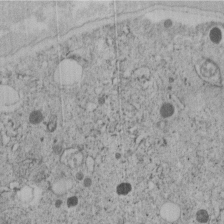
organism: C. elegans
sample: C. elegans embryo early stage